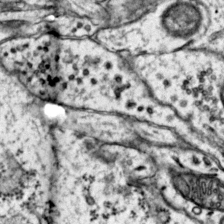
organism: Mouse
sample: Primary visual cortex